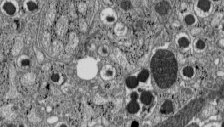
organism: C57BL Mouse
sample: Pancreatic islet